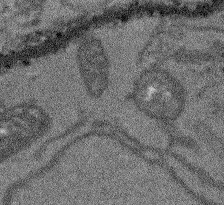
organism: Arabidopsis thaliana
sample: Root tip